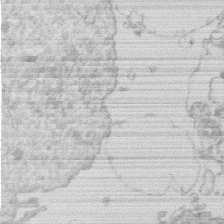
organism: Human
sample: Macrophage cells